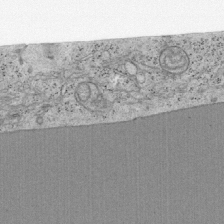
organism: Human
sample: HeLa cells